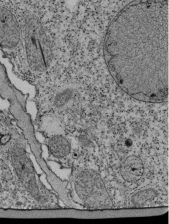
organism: Tetrahymena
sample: Cilia in tetrahymena